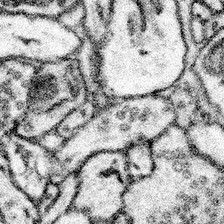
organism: Mouse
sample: Somatosensory cortex neuropil